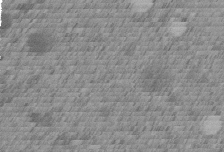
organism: C. elegans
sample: C. elegans embryo early stage